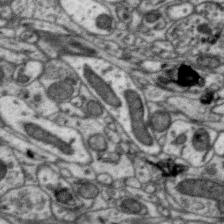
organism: Zebra finch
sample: Brain